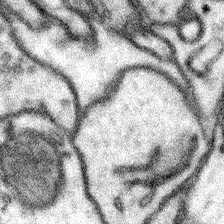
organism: Mouse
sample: Somatosensory cortex neuropil